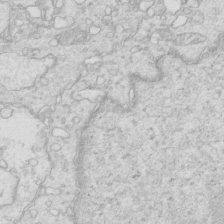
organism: Mouse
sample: Multiciliated cells